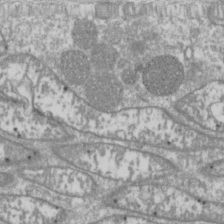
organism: Drosophila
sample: Cell division; meiosis; drosophila spermatocytes